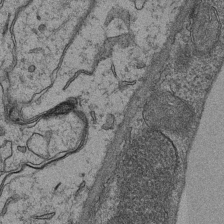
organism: Mouse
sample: CA1 Hippocampus